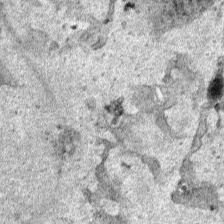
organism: Human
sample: Mitochondria in HCT116 cells